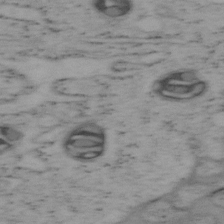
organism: Mouse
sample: OT-I killer T cells with ID8 ovarian cancer cells